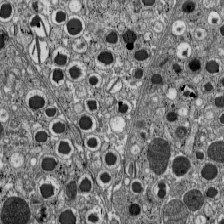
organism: C57BL Mouse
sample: Pancreatic islet